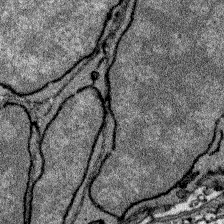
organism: Zebrafish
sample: Larval olfactory bulb